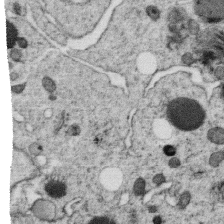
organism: C. elegans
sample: C. elegans oocyte; sperm cells